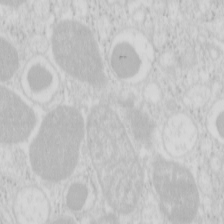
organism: Mouse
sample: Pancreas